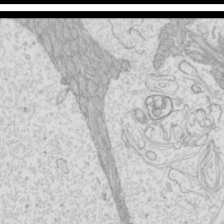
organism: Mouse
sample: Cilia; mouse epididymis